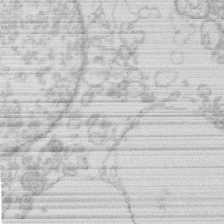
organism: Human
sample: Macrophage cells